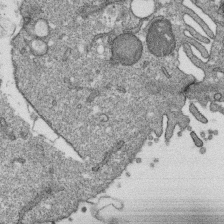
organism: African green monkey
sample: Vero E6 cells infected with SARS-CoV-2